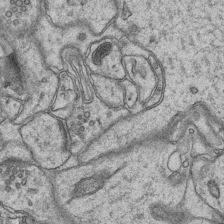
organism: Mouse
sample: CA1 Hippocampus